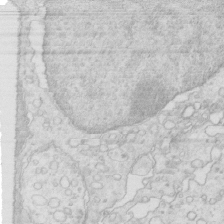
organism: Mouse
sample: Multiciliated cells